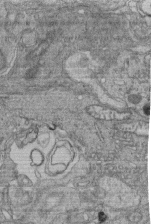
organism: Human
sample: Retinal organoid Rod and Cone cells